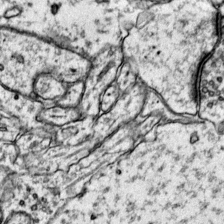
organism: Mouse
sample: Primary visual cortex